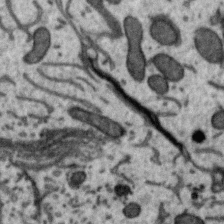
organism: Zebra finch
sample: Brain